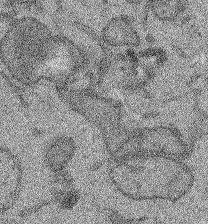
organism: Human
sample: HeLa cells